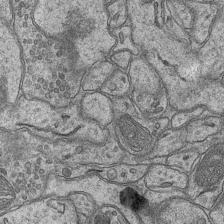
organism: Mouse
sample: CA1 Hippocampus